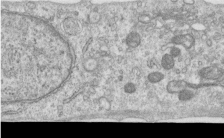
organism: Human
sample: Centriole in RPE cells